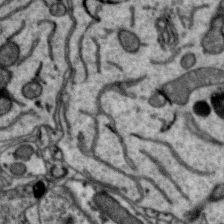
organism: Zebra finch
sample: Brain